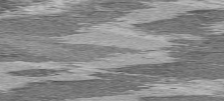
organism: C57BL Mouse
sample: Heart